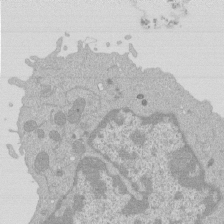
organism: Mouse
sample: Activated Pmel transgenic CD8+ T Cells